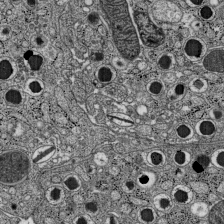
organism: C57BL Mouse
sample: Pancreatic islet